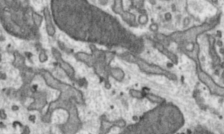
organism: Toxoplasma gondii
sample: Parasites in a vacuole inside a host cell